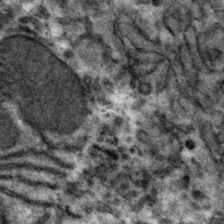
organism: Mouse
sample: Mouse hepatocytes